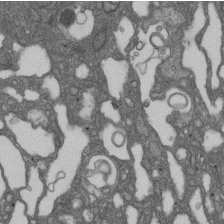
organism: Drosophila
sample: Nephrocyte